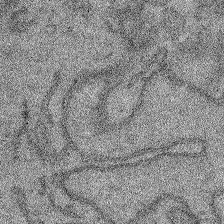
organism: Human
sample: HeLa cells